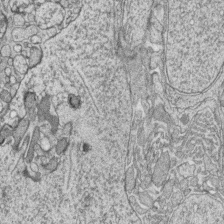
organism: Zebrafish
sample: synaptic ribbons in rod cells and cone cells